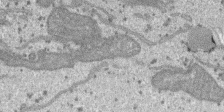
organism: Human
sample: Lung epithelial cells infected with SARS-CoV-2